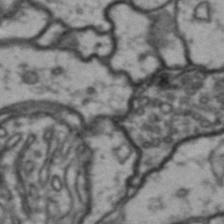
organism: Drosophila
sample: Brain